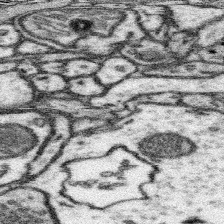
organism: Mouse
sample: Somatosensory cortex neuropil